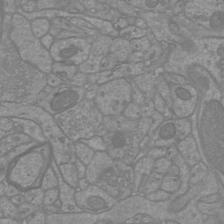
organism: Mouse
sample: Cortical neurons